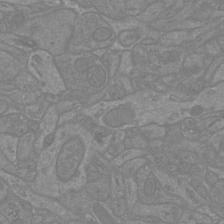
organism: Mouse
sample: Cortical neurons